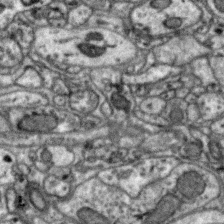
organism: Zebra finch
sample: Brain